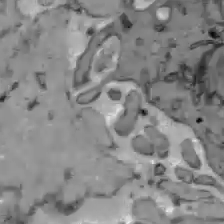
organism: C57BL Mouse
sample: Liver